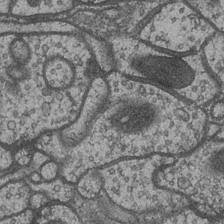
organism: Drosophila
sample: Optic medulla